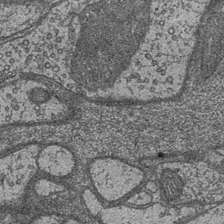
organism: Drosophila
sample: Optic medulla